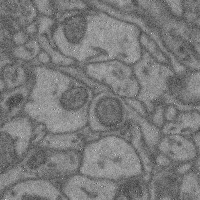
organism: Mouse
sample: Cerebral cortex